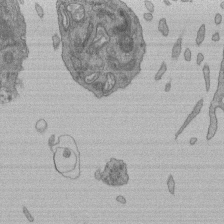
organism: Human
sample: Retinal organoid Rod and Cone cells